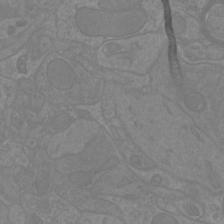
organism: Mouse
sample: Cortical neurons